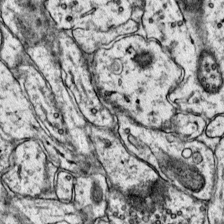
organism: Mouse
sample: Primary visual cortex